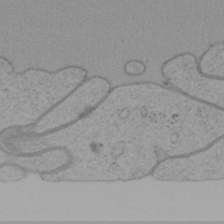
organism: Human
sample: HeLa cells